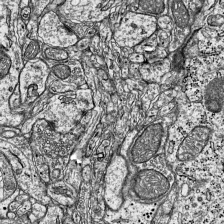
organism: Mouse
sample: Visual Cortex